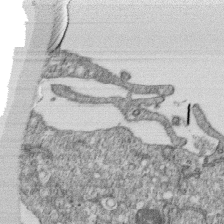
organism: African green monkey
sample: Vero E6 cells infected with SARS-CoV-2